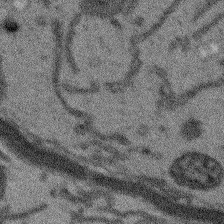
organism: Arabidopsis thaliana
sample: Root tip